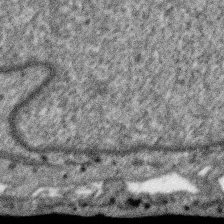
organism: Human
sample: Lung epithelial cells infected with SARS-CoV-2